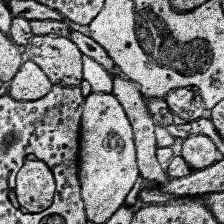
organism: Human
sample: Temporal Lobe